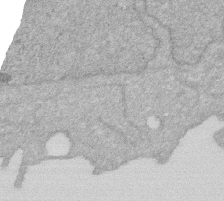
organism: Human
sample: HIV infected U937 cells